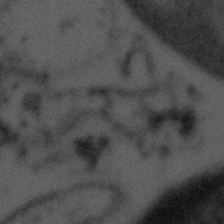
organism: Tuwongella immobilis